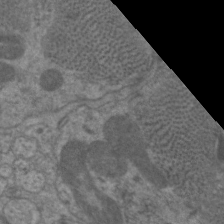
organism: C. elegans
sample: Pharynx